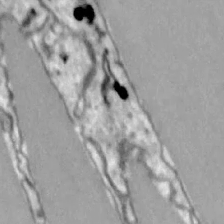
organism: Zebrafish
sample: Actinotrichia fibers